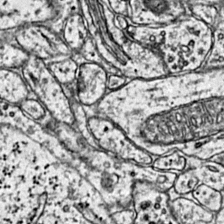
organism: Mouse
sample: Primary visual cortex